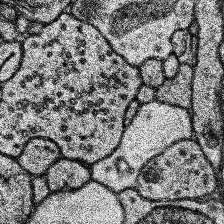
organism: Human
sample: Temporal Lobe